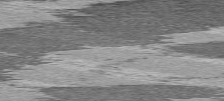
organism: C57BL Mouse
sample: Heart